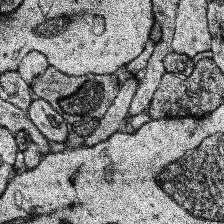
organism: Human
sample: Temporal Lobe